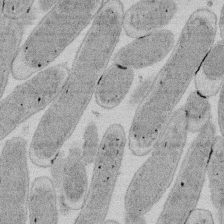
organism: E. coli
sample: Bacterial nucleoid